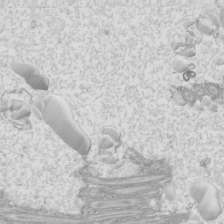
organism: Mouse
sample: Cilia; mouse epididymis